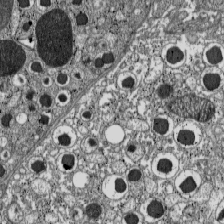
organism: C57BL Mouse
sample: Pancreatic islet